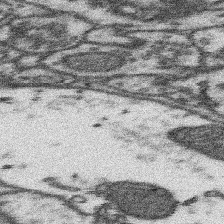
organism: Mouse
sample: Somatosensory cortex neuropil